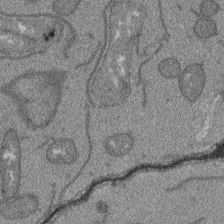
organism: Arabidopsis thaliana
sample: Root tip